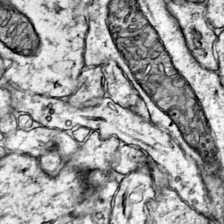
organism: Mouse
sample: Primary visual cortex